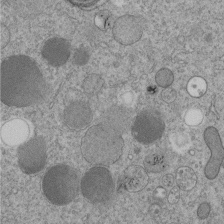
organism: C. elegans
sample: C. elegans embryo early stage